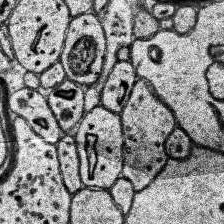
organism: Human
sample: Temporal Lobe